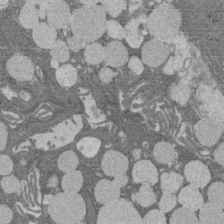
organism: Rat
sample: Salivary granule